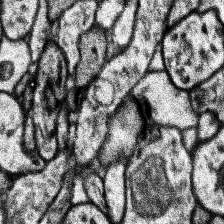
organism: Human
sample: Temporal Lobe